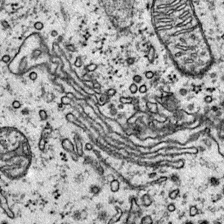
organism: Mouse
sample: Primary visual cortex